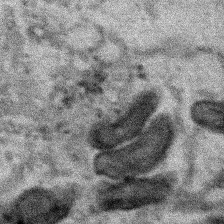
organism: Human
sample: Mitochondria in HCT116 cells